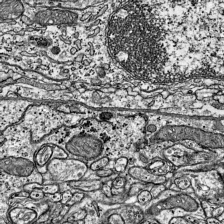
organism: Mouse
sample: Visual Cortex